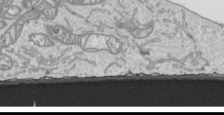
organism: Human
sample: Mitochondria in HCT116 cells